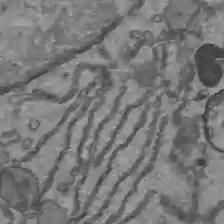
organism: C57BL Mouse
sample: Liver